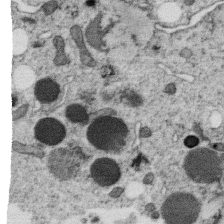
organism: C. elegans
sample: C. elegans oocyte; sperm cells